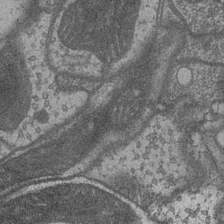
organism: Drosophila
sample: Optic medulla